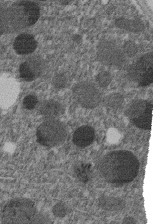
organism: C. elegans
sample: C. elegans embryo early stage